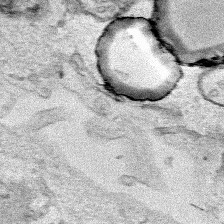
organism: Human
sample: Mitochondria in HCT116 cells